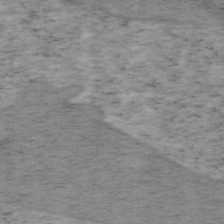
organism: Mouse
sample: OT-I killer T cells with ID8 ovarian cancer cells